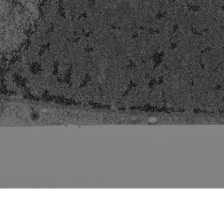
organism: African green monkey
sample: COS-7 cells